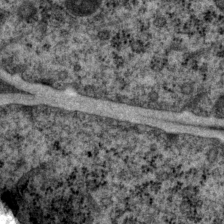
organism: P. pacificus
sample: Pharynx